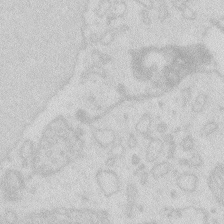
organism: Zebrafish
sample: Macrophage